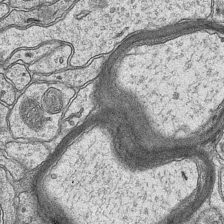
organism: Mouse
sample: CA1 Hippocampus